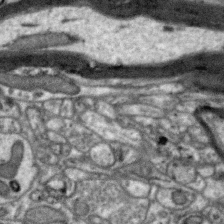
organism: Zebra finch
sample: Brain